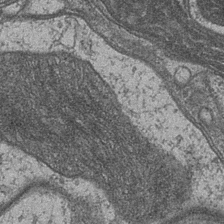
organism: Drosophila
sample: Optic medulla